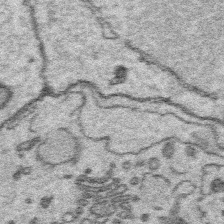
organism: Platynereis dumerilii